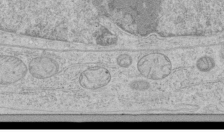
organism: Human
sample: Mitochondria in HCT116 cells